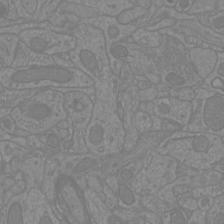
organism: Mouse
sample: Cortical neurons